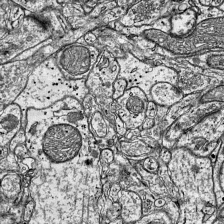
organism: Mouse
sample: Visual Cortex